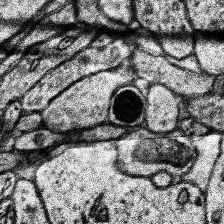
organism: Human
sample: Temporal Lobe